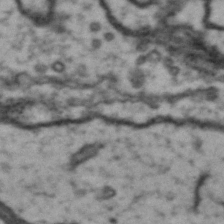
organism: Drosophila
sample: Brain